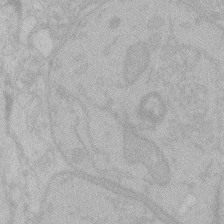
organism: Zebrafish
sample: Macrophage infected with Toxoplasma gondii